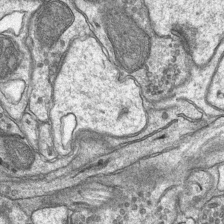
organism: Mouse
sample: CA1 Hippocampus